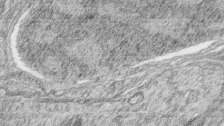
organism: Zebrafish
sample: synaptic ribbons in rod cells and cone cells